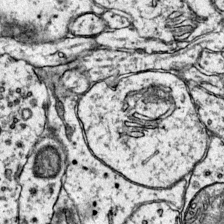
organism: Mouse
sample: Primary visual cortex